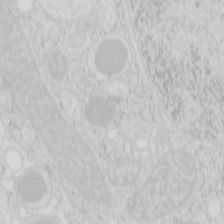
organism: Mouse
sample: Pancreas